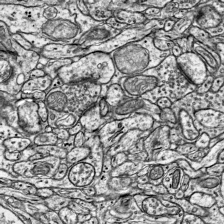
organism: Mouse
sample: Visual Cortex